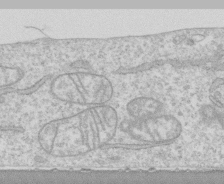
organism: Human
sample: CRL-1474